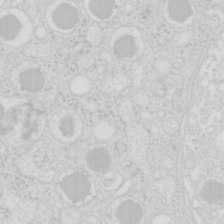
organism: Mouse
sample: Pancreas